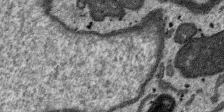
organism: Human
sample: Lung epithelial cells, uninfected (mock) control